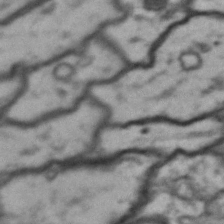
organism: Drosophila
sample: Brain